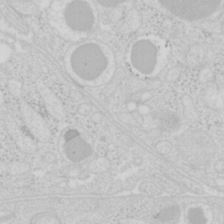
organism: Mouse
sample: Pancreas